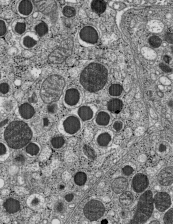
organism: C57BL Mouse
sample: Pancreatic islet